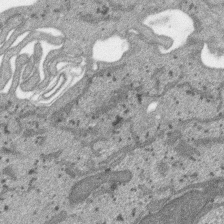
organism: Human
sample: Lung epithelial cells infected with SARS-CoV-2